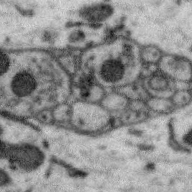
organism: Zebra finch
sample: Brain